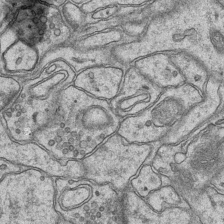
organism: Mouse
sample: CA1 Hippocampus